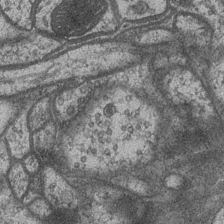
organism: Drosophila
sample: Optic medulla